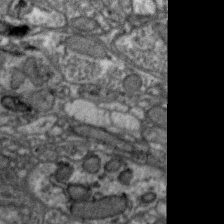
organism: Zebra finch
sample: Brain